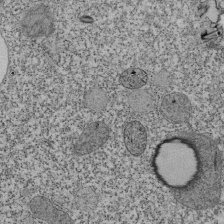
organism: Tetrahymena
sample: Cilia in tetrahymena